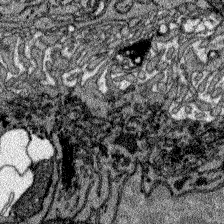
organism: Zebrafish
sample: Larval olfactory bulb